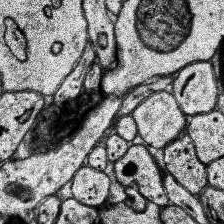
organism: Human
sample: Temporal Lobe